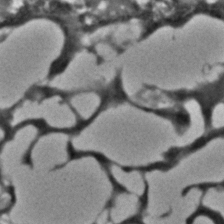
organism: C. elegans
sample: C. elegans embryo